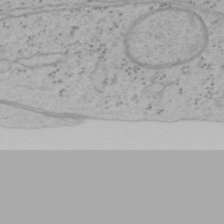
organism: Human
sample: HeLa cells